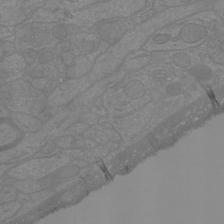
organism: Mouse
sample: Cortical neurons